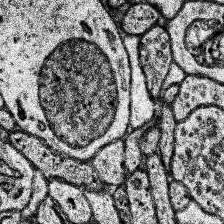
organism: Human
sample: Temporal Lobe